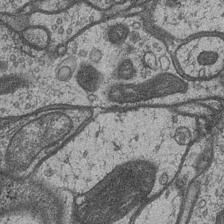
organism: Drosophila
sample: Optic medulla